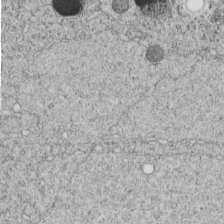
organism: C. elegans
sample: C. elegans embryo early stage